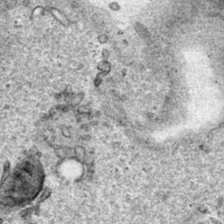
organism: Human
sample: Mitochondria in HCT116 cells